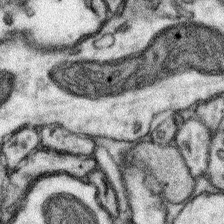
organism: Mouse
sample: Somatosensory cortex neuropil